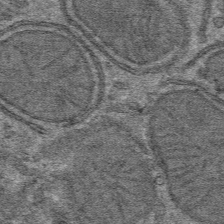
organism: Mouse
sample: Mouse hepatocytes